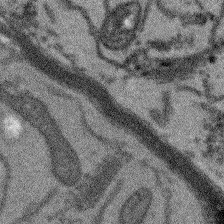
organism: Arabidopsis thaliana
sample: Root tip